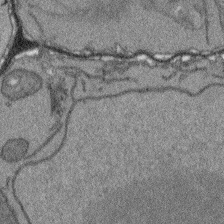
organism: Arabidopsis thaliana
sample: Root tip